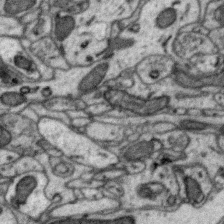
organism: Zebra finch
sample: Brain